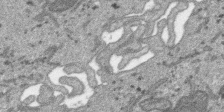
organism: Human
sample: Lung epithelial cells infected with SARS-CoV-2